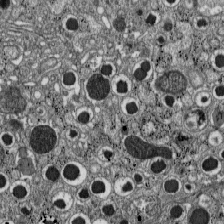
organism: C57BL Mouse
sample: Pancreatic islet